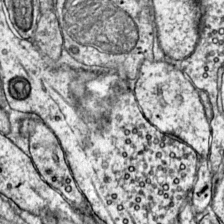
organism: Mouse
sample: Primary visual cortex